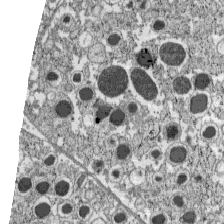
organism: C57BL Mouse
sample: Pancreatic islet